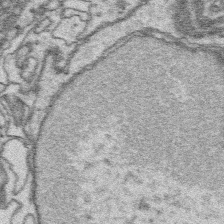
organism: Platynereis dumerilii